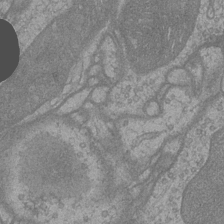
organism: Drosophila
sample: Optic medulla